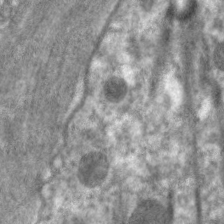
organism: C. elegans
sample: Pharynx